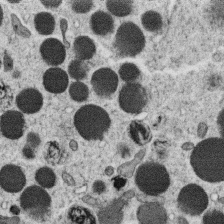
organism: C. elegans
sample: C. elegans oocyte; sperm cells